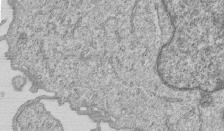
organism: Human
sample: MDA-MB-231 cells